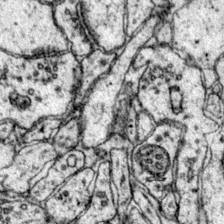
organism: Mouse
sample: Primary visual cortex